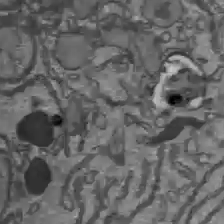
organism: C57BL Mouse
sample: Liver